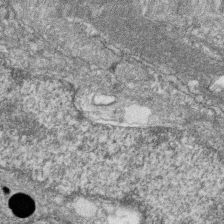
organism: Zebrafish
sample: Cilia; retinal pigment epithelium